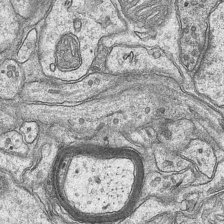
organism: Mouse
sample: CA1 Hippocampus